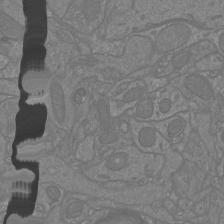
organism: Mouse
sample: Cortical neurons